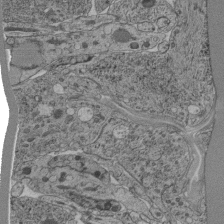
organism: C. elegans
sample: C. elegans pharynx